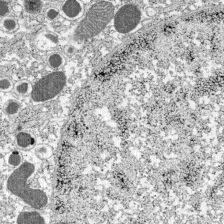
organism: C57BL Mouse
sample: Pancreatic islet